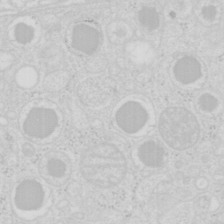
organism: Mouse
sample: Pancreas